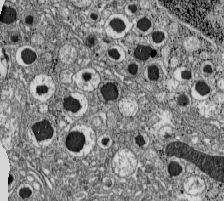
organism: C57BL Mouse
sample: Pancreatic islet